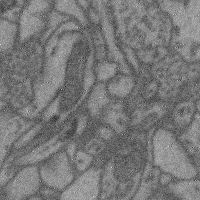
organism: Mouse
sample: Cerebral cortex